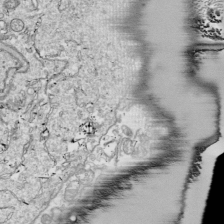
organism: Drosophila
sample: Cell division; meiosis; drosophila spermatocytes